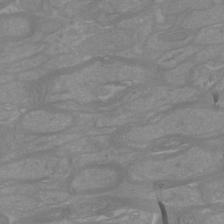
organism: Mouse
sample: Cortical neurons